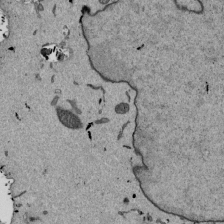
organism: Mouse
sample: ED-1 cell nuclei; centrioles